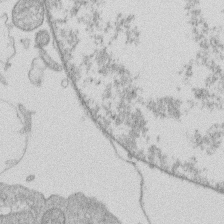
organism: Human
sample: Macrophage cells